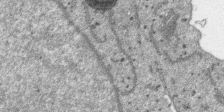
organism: Human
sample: Lung epithelial cells infected with SARS-CoV-2